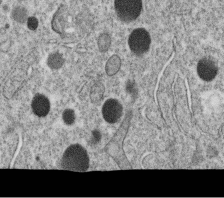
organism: C. elegans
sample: C. elegans oocyte; sperm cells